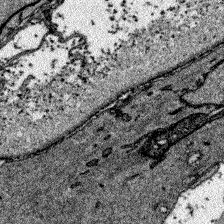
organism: Zebrafish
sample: Larval olfactory bulb